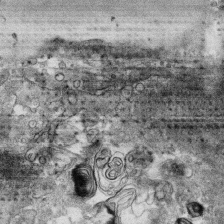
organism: Human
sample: CRL-1474